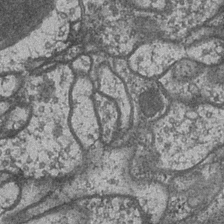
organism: Drosophila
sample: Optic medulla